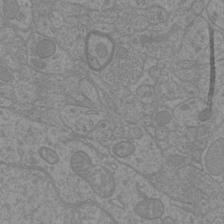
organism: Mouse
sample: Cortical neurons